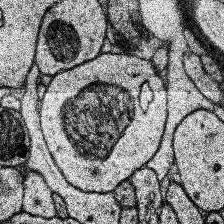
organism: Human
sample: Temporal Lobe